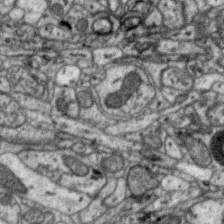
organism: Zebra finch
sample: Brain